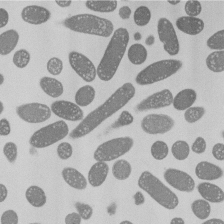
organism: E. coli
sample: Bacterial nucleoid